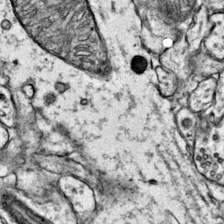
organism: Mouse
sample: Primary visual cortex